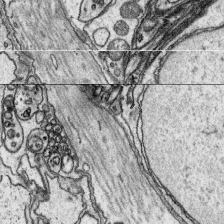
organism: Platynereis dumerilii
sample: Parapodia